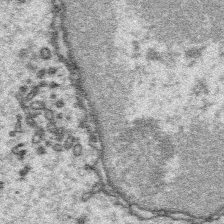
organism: Platynereis dumerilii